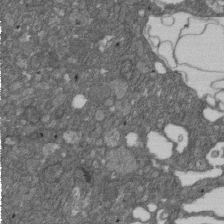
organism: Drosophila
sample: Nephrocyte